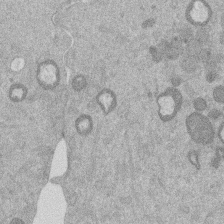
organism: Mouse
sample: Dividing mouse embryo 1 cell stage